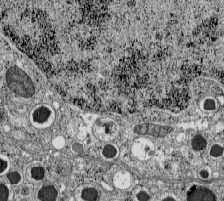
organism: C57BL Mouse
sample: Pancreatic islet